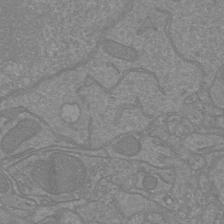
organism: Mouse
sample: Cortical neurons